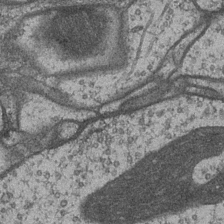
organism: Drosophila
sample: Optic medulla